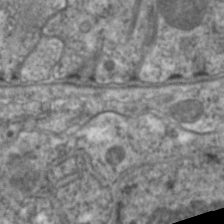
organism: C. elegans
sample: Pharynx